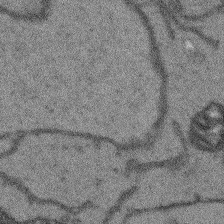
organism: Arabidopsis thaliana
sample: Root tip